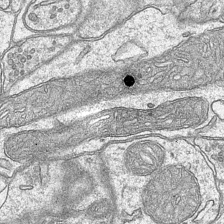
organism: Mouse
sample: CA1 Hippocampus